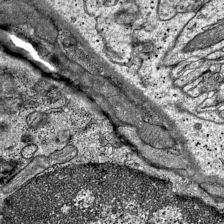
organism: Mouse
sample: Visual Cortex